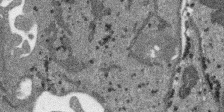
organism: Human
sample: Lung epithelial cells infected with SARS-CoV-2